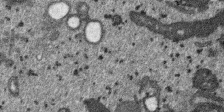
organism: Human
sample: Lung epithelial cells infected with SARS-CoV-2